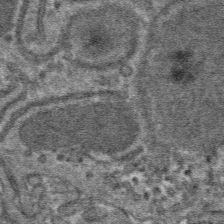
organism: Mouse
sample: Mouse hepatocytes